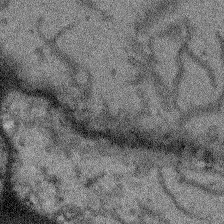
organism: Arabidopsis thaliana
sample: Root tip